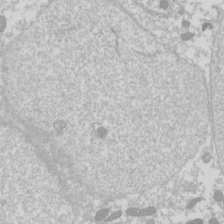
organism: Drosophila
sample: Cell division; meiosis; drosophila spermatocytes